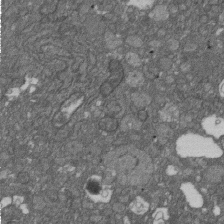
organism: Drosophila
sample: Nephrocyte